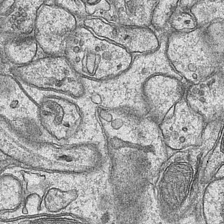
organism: Mouse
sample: CA1 Hippocampus